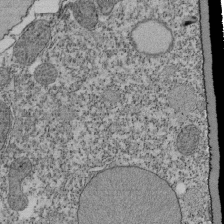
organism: Tetrahymena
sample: Cilia in tetrahymena